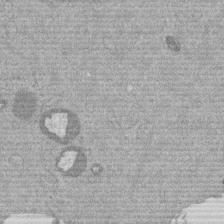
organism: Mouse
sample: Dividing mouse embryo 1 cell stage